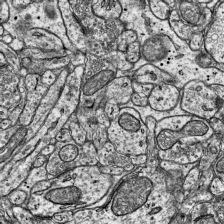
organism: Mouse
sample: Visual Cortex